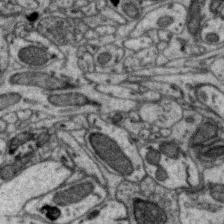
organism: Zebra finch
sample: Brain